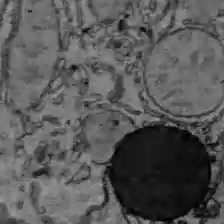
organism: C57BL Mouse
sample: Liver